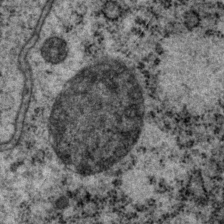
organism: P. pacificus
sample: Pharynx